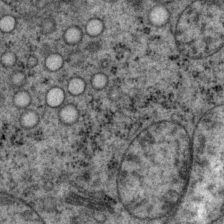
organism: P. pacificus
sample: Pharynx